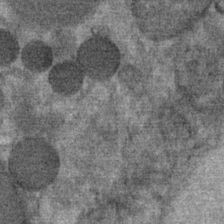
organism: Mouse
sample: Mouse Salivary gland